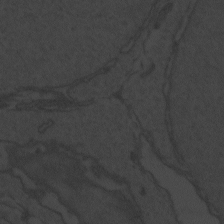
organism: Zebrafish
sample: Macrophage infected with Toxoplasma gondii